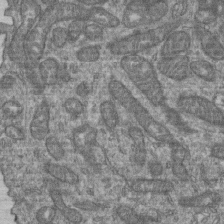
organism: Human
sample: Retinal organoid Rod and Cone cells